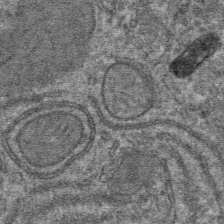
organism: Mouse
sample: Mouse hepatocytes